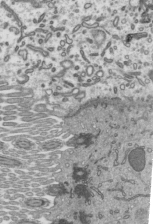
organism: Mouse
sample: Mouse epididymis efferent ductule cilia